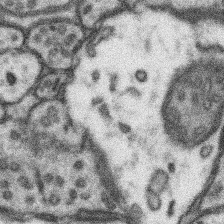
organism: Mouse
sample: Somatosensory cortex neuropil